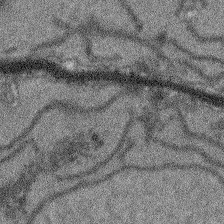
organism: Arabidopsis thaliana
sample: Root tip